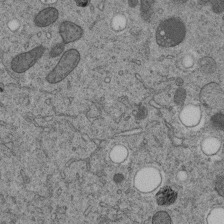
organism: C. elegans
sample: C. elegans embryo early stage